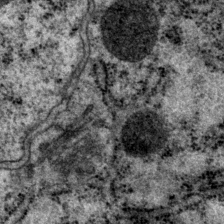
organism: P. pacificus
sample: Pharynx